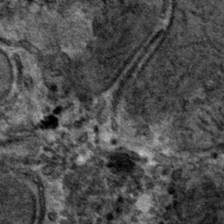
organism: Mouse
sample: Mouse hepatocytes